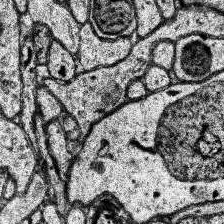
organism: Human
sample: Temporal Lobe